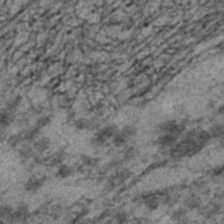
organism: C. elegans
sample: C. elegans embryo